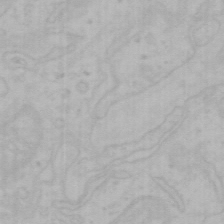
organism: Mouse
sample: Choroid plexus